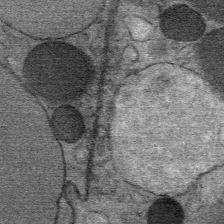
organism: Mouse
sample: Mouse Salivary gland